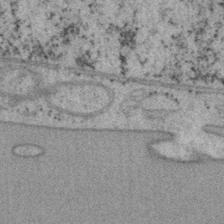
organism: Human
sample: HeLa cells